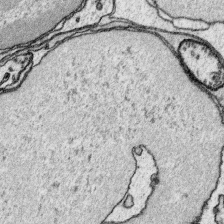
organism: Platynereis dumerilii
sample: Parapodia